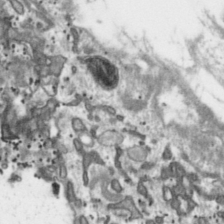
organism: Toxoplasma gondii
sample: Parasites in a vacuole inside a host cell